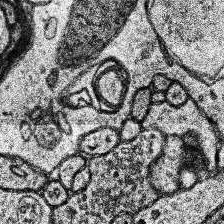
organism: Human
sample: Temporal Lobe